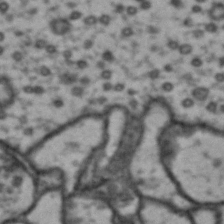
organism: Drosophila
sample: Brain